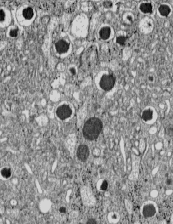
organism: C57BL Mouse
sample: Pancreatic islet